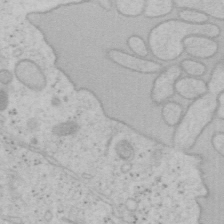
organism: Human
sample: HeLa cells